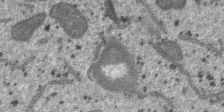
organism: Human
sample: Lung epithelial cells infected with SARS-CoV-2